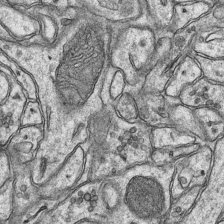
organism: Mouse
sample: CA1 Hippocampus